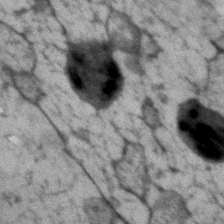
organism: Human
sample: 1205lu cells